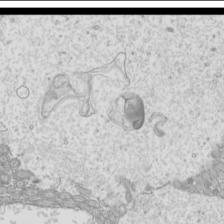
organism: Mouse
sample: Cilia; mouse epididymis